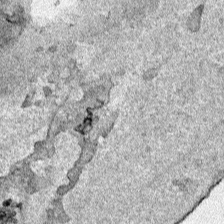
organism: Human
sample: Mitochondria in HCT116 cells